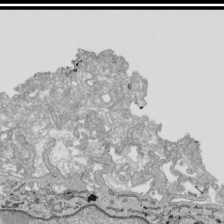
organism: Human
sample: Mitochondria in HCT116 cells